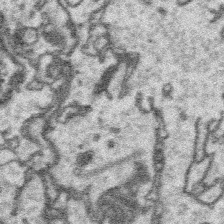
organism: Platynereis dumerilii